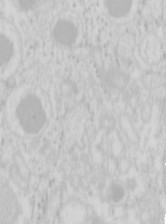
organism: Mouse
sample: Pancreas